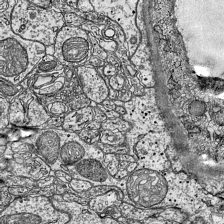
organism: Mouse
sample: Visual Cortex